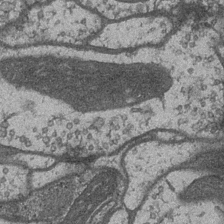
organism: Drosophila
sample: Optic medulla